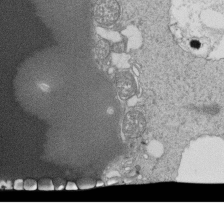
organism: Tetrahymena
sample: Cilia in tetrahymena